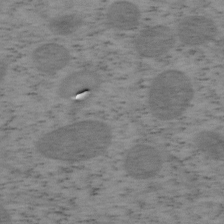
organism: Mouse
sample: OT-I killer T cells with ID8 ovarian cancer cells